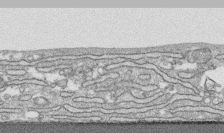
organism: Human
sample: CRL-1474